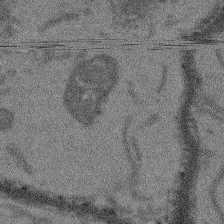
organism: Arabidopsis thaliana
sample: Root tip